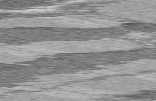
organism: C57BL Mouse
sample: Heart